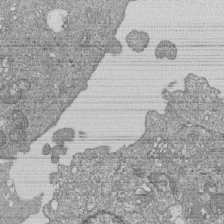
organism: Human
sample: MDA-MB-231 cells